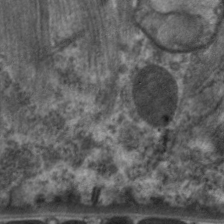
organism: C. elegans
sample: Pharynx